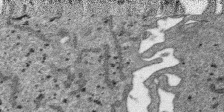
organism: Human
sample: Lung epithelial cells infected with SARS-CoV-2